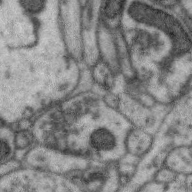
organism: Zebra finch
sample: Brain